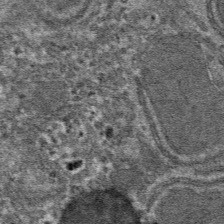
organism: Mouse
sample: Mouse hepatocytes